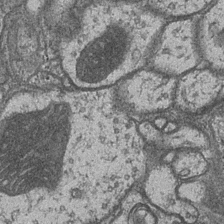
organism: Drosophila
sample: Optic medulla